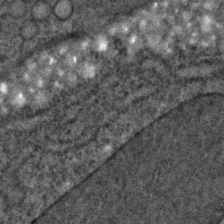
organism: C. elegans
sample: C. elegans embryo